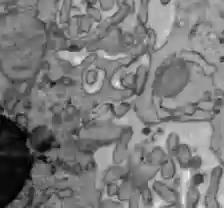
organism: C57BL Mouse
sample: Liver